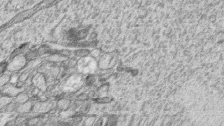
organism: Zebrafish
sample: synaptic ribbons in rod cells and cone cells